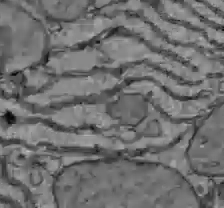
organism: C57BL Mouse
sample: Liver